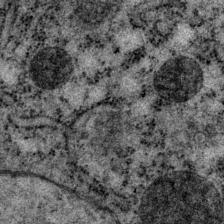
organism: P. pacificus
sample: Pharynx